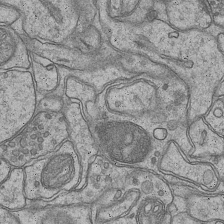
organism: Mouse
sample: CA1 Hippocampus